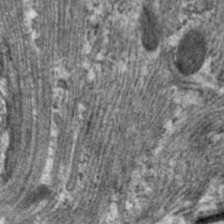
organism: C. elegans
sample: Pharynx